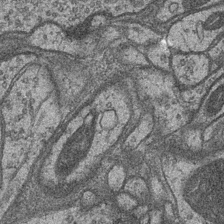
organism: Drosophila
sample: Optic medulla